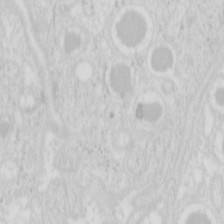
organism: Mouse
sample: Pancreas